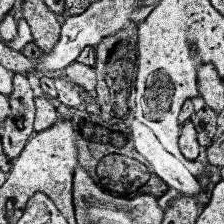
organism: Human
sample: Temporal Lobe